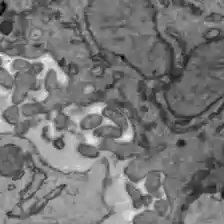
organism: C57BL Mouse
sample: Liver